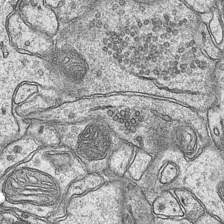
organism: Mouse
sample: CA1 Hippocampus